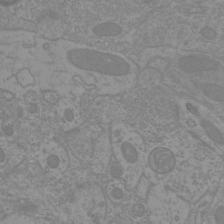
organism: Mouse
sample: Cortical neurons